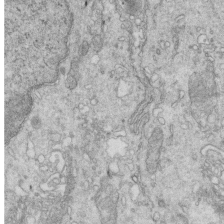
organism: Mouse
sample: Multiciliated cells